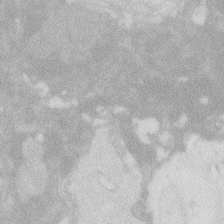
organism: Zebrafish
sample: Macrophage